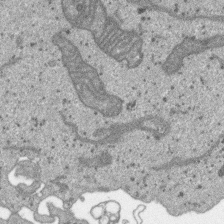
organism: Human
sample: Lung epithelial cells infected with SARS-CoV-2